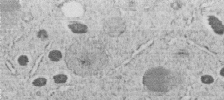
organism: C. elegans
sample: C. elegans embryo early stage